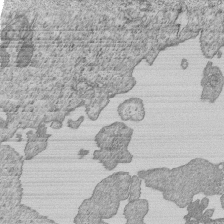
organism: Human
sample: MDA-MB-231 cells